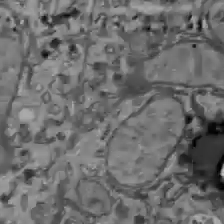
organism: C57BL Mouse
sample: Liver